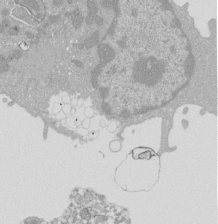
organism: Mouse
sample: Activated Pmel transgenic CD8+ T Cells